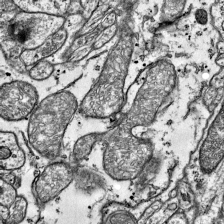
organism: Mouse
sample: Visual Cortex